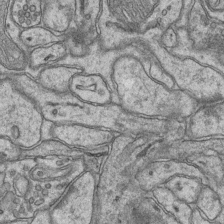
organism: Mouse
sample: CA1 Hippocampus